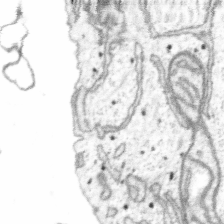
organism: Human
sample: HeLa cells